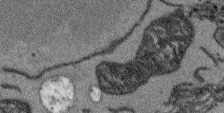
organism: Arabidopsis thaliana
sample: Root tip